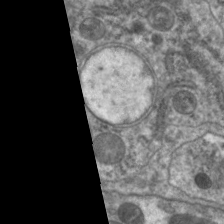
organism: C. elegans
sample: Pharynx